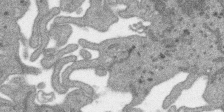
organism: Human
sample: Lung epithelial cells infected with SARS-CoV-2